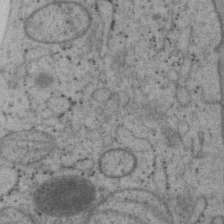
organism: Human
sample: HeLa cells